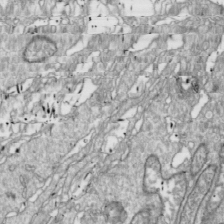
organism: Drosophila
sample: Cell division; meiosis; drosophila spermatocytes